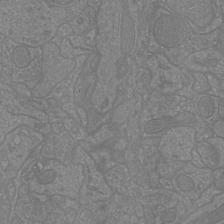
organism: Mouse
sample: Cortical neurons